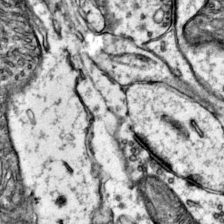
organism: Mouse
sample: Primary visual cortex